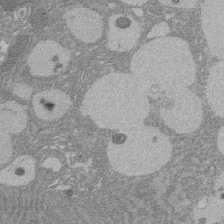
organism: Rat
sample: Salivary granule